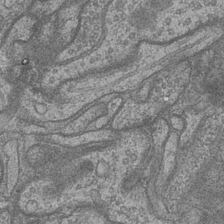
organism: Drosophila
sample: Optic medulla